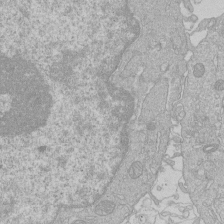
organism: Human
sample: Macrophage cells